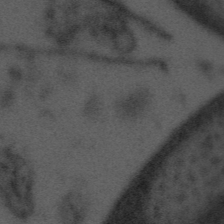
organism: Tuwongella immobilis